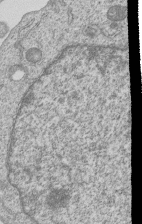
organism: Human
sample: MDA-MB-231 cells